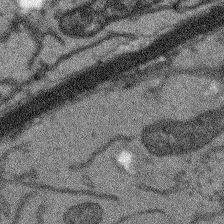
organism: Arabidopsis thaliana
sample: Root tip